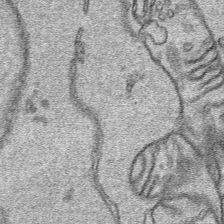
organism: Human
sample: Mitochondria in HCT116 cells